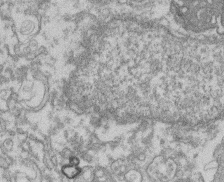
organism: Mouse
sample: T cell stromal cell synapse